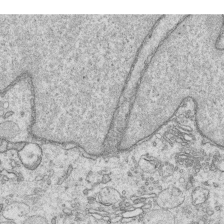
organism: Human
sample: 1205lu cells